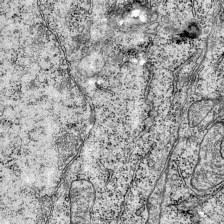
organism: Mouse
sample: Visual Cortex